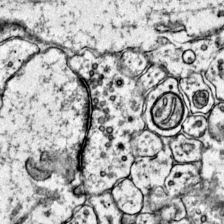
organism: Mouse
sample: Primary visual cortex